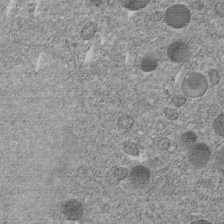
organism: C. elegans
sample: C. elegans embryo early stage